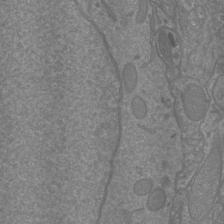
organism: Mouse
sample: Cortical neurons